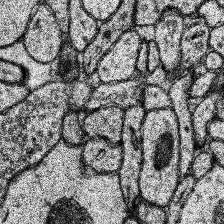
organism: Human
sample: Temporal Lobe